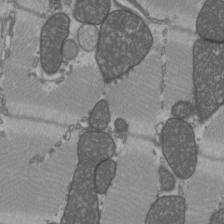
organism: C57BL Mouse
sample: Heart